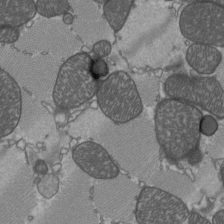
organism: C57BL Mouse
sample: Heart